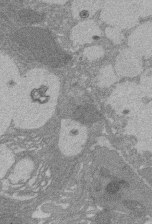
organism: Rat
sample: Salivary granule